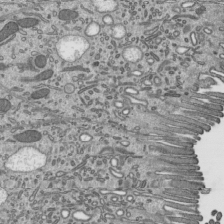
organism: Mouse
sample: Mouse epididymis efferent ductule cilia